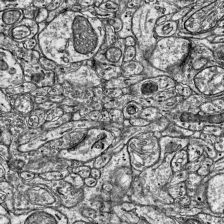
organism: Mouse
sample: Visual Cortex